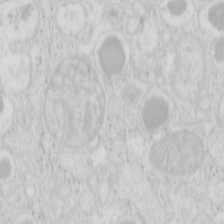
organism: Mouse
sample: Pancreas